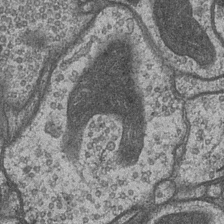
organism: Drosophila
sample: Optic medulla